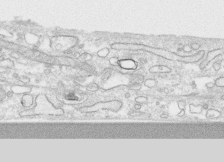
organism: Human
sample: CRL-1474